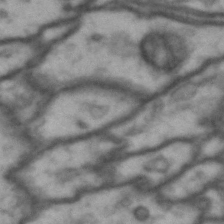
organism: Drosophila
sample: Brain